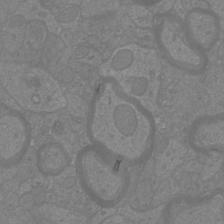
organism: Mouse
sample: Cortical neurons